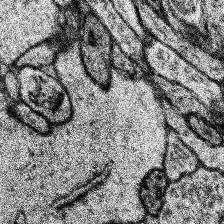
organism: Human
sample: Temporal Lobe